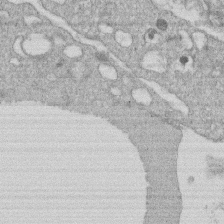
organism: Human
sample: Macrophage cells